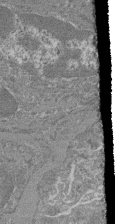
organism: Mouse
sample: Glomerulus